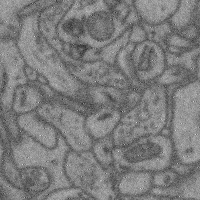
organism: Mouse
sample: Cerebral cortex